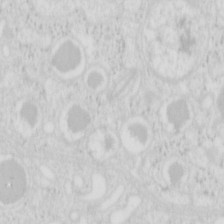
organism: Mouse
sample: Pancreas